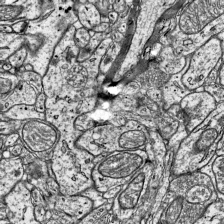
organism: Mouse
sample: Visual Cortex